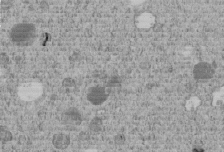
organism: C. elegans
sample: C. elegans embryo early stage